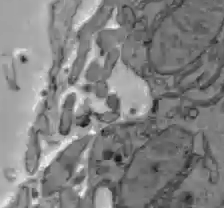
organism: C57BL Mouse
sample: Liver